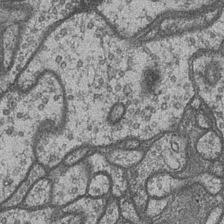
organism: Drosophila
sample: Optic medulla